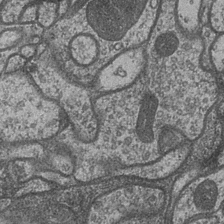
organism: Drosophila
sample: Optic medulla